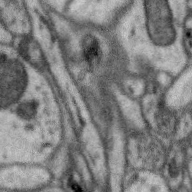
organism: Zebra finch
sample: Brain